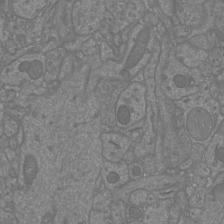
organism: Mouse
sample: Cortical neurons